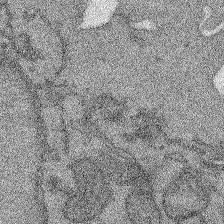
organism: Human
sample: HeLa cells